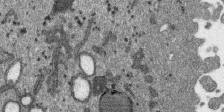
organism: Human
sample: Lung epithelial cells infected with SARS-CoV-2